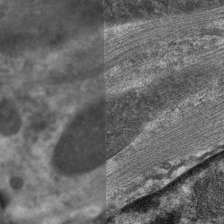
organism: C. elegans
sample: Pharynx